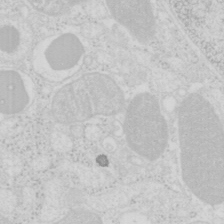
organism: Mouse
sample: Pancreas